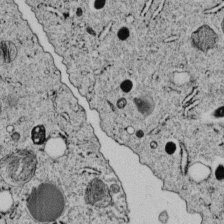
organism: C. elegans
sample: C. elegans embryo early stage